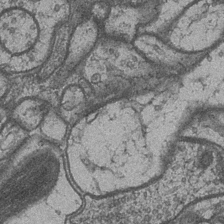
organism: Drosophila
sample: Optic medulla